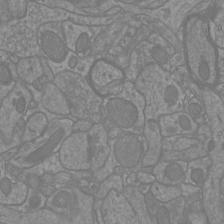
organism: Mouse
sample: Cortical neurons